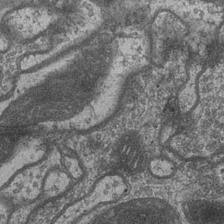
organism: Drosophila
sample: Optic medulla